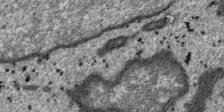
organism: Human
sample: Lung epithelial cells, uninfected (mock) control